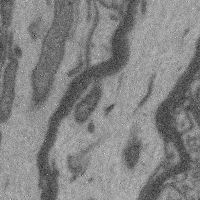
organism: Mouse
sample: Cerebral cortex